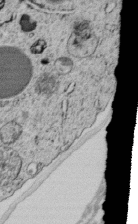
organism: C. elegans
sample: C. elegans embryo early stage